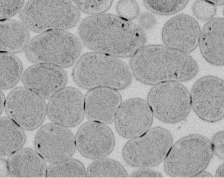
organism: E. coli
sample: Bacterial nucleoid